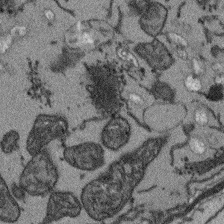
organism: Arabidopsis thaliana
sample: Root tip